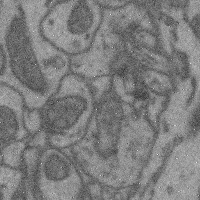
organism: Mouse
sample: Cerebral cortex